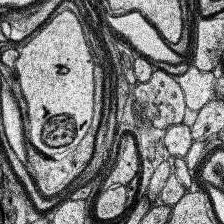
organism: Human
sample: Temporal Lobe